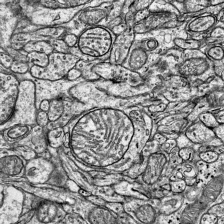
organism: Mouse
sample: Visual Cortex